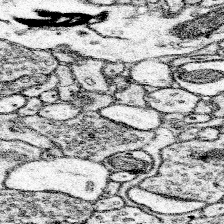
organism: Mouse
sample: Somatosensory cortex neuropil